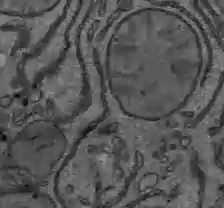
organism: C57BL Mouse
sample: Liver